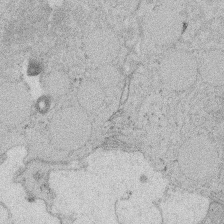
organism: Rat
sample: Salivary granule